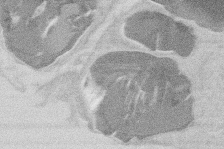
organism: Mouse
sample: T cell stromal cell synapse